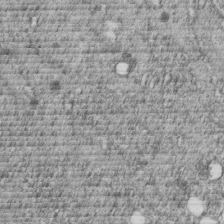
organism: C. elegans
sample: C. elegans embryo early stage